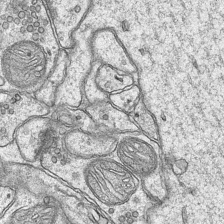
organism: Mouse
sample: CA1 Hippocampus